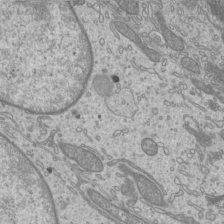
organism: Mouse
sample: Cilia; mouse epididymis